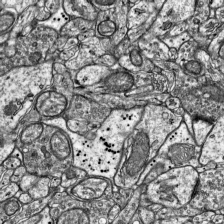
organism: Mouse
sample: Visual Cortex